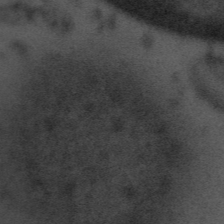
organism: Tuwongella immobilis